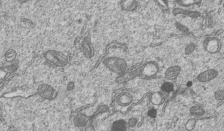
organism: Human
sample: MDA-MB-231 cells